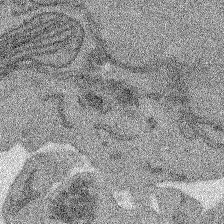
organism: Human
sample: HeLa cells